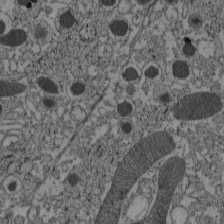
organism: C57BL Mouse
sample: Pancreatic islet